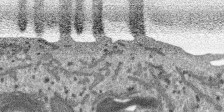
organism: Human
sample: Lung epithelial cells infected with SARS-CoV-2